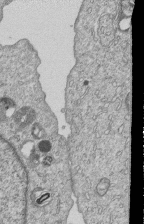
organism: Human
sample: MDA-MB-231 cells